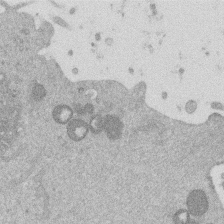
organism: Mouse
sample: Dividing mouse embryo 1 cell stage